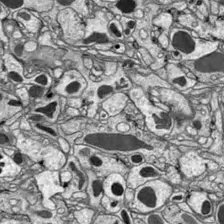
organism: Drosophila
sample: Optic lobe